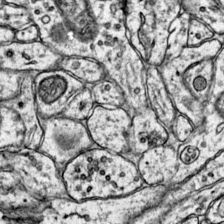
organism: Mouse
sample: Primary visual cortex